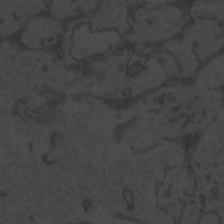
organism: Zebrafish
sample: Macrophage infected with Toxoplasma gondii